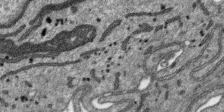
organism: Human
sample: Lung epithelial cells, uninfected (mock) control